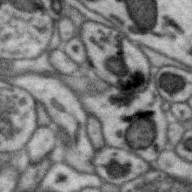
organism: Zebra finch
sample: Brain